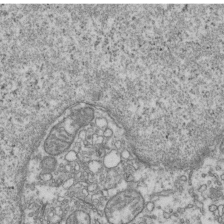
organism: Human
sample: Activated Jurkat CD4+ T cells